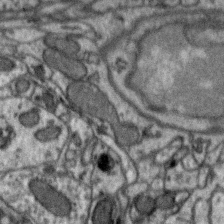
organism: Zebra finch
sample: Brain